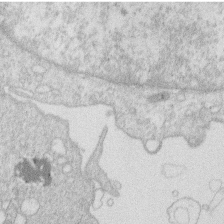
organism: Human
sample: Macrophage cells